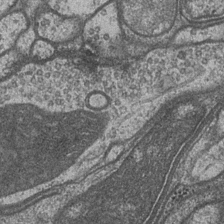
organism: Drosophila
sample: Optic medulla